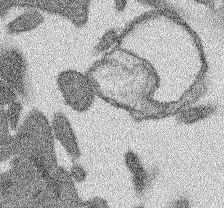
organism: Human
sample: HeLa cells